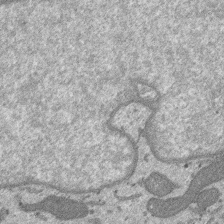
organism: Human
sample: Lung epithelial cells infected with SARS-CoV-2